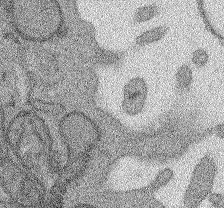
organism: Human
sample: HeLa cells